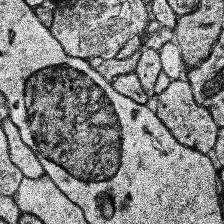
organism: Human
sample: Temporal Lobe